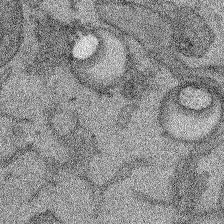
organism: Human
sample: HeLa cells